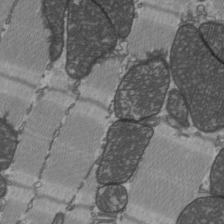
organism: C57BL Mouse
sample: Heart